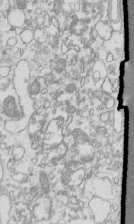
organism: Mouse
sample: Macrophages